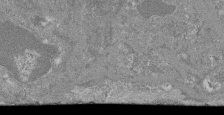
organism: Mouse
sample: Glomerulus